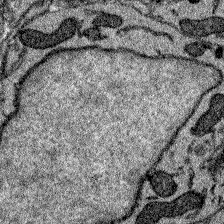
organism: Zebrafish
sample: Larval olfactory bulb